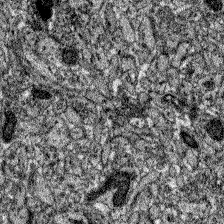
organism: Zebrafish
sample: Larval olfactory bulb